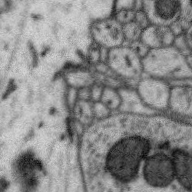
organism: Zebra finch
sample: Brain